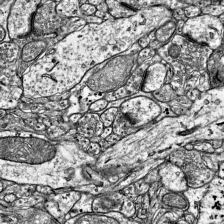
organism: Mouse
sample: Visual Cortex